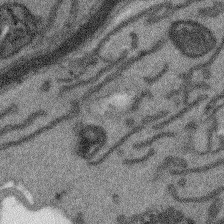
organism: Arabidopsis thaliana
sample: Root tip